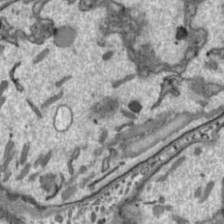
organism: Toxoplasma gondii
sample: Parasites in a vacuole inside a host cell